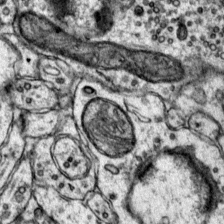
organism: Mouse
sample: Primary visual cortex